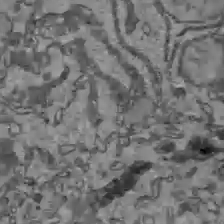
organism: C57BL Mouse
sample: Liver